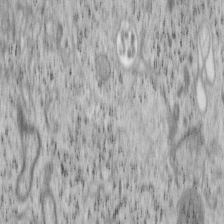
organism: Human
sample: HeLa cells